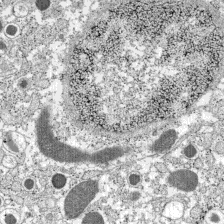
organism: C57BL Mouse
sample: Pancreatic islet